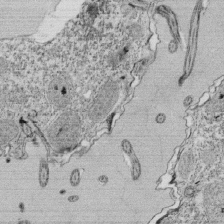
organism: Tetrahymena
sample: Cilia in tetrahymena